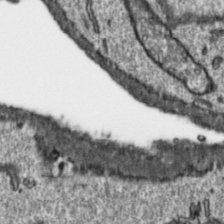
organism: Toxoplasma gondii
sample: Parasites in a vacuole inside a host cell